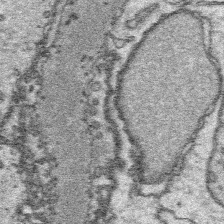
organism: Platynereis dumerilii